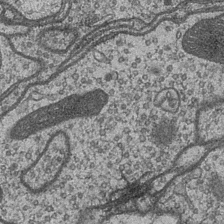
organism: Drosophila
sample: Optic medulla